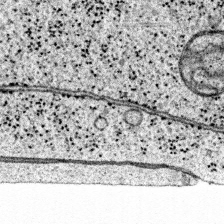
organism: Human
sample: HeLa cells